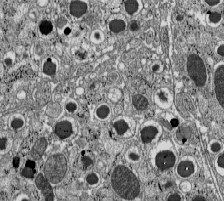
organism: C57BL Mouse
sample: Pancreatic islet